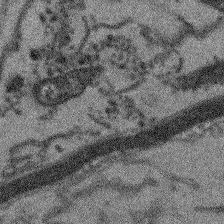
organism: Arabidopsis thaliana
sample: Root tip